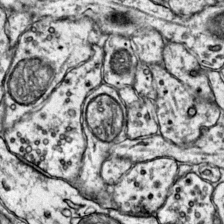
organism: Mouse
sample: Primary visual cortex